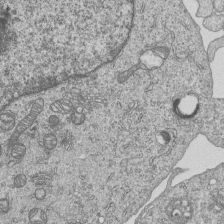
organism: Human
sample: MDA-MB-231 cells